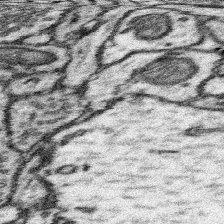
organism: Mouse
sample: Somatosensory cortex neuropil